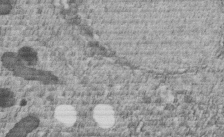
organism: C. elegans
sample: C. elegans embryo early stage